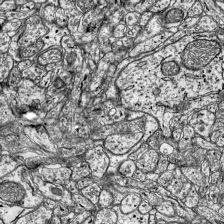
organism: Mouse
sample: Visual Cortex